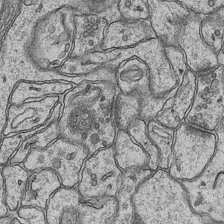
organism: Mouse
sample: CA1 Hippocampus